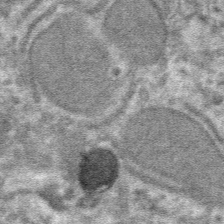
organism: Mouse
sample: Mouse hepatocytes